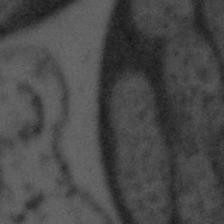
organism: Tuwongella immobilis